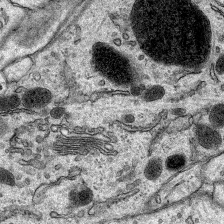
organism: Rat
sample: Hippocampus